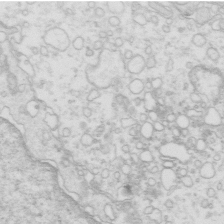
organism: Mouse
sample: Multiciliated cells